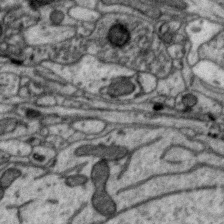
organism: Zebra finch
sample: Brain